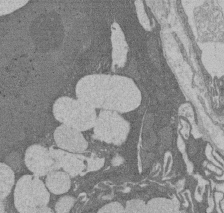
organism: Rat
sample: Salivary granule